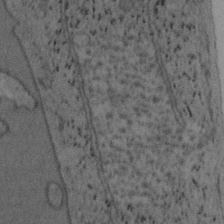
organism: Human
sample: HeLa cells